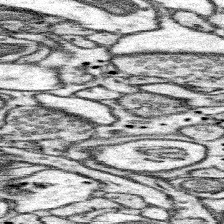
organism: Mouse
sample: Somatosensory cortex neuropil